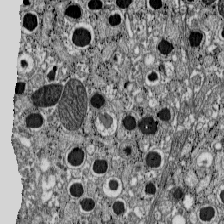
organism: C57BL Mouse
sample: Pancreatic islet